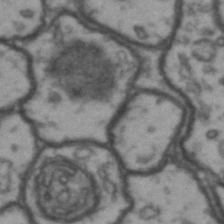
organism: Drosophila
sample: Brain